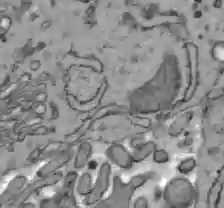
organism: C57BL Mouse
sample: Liver